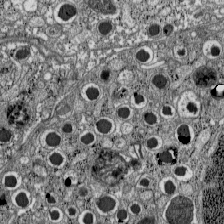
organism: C57BL Mouse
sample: Pancreatic islet